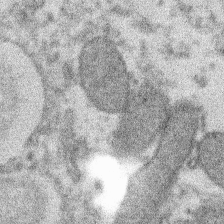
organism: Xenopus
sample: Cilia; centrioles in frog embryo cells